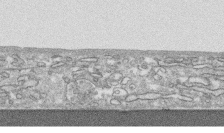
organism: Human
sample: CRL-1474